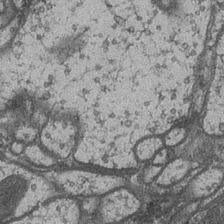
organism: Drosophila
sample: Optic medulla